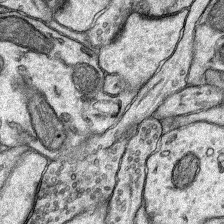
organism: Rat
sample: Hippocampus